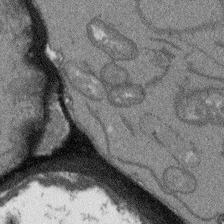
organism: Arabidopsis thaliana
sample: Root tip